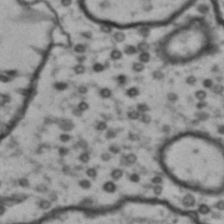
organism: Drosophila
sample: Brain